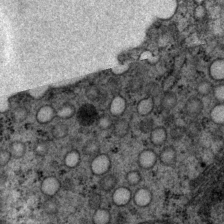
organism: P. pacificus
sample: Pharynx